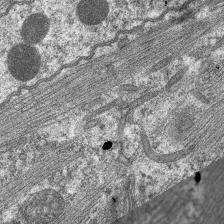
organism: C. elegans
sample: Pharynx